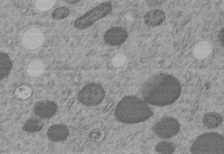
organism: C. elegans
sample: C. elegans embryo early stage